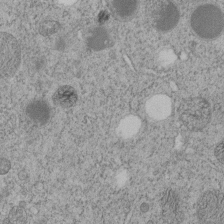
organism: C. elegans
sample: C. elegans embryo early stage